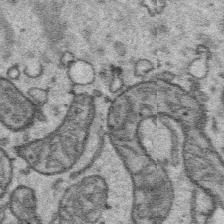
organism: Platynereis dumerilii